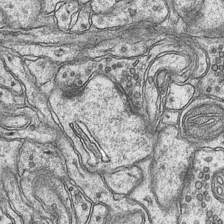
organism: Mouse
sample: CA1 Hippocampus